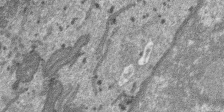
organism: Human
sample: Lung epithelial cells infected with SARS-CoV-2